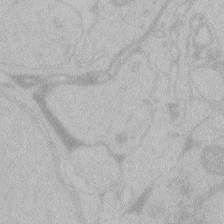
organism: Zebrafish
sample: Macrophage infected with Toxoplasma gondii